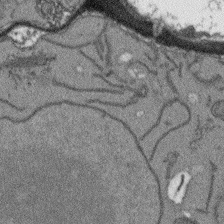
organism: Arabidopsis thaliana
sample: Root tip